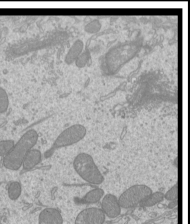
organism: Mouse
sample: Cilia; mouse epididymis